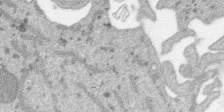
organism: Human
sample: Lung epithelial cells infected with SARS-CoV-2